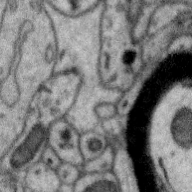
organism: Zebra finch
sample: Brain